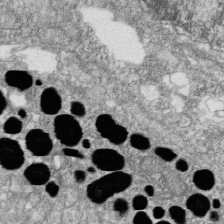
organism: Zebrafish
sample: Cilia; retinal pigment epithelium